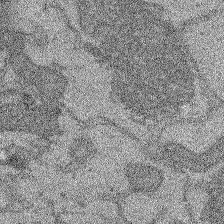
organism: Human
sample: HeLa cells